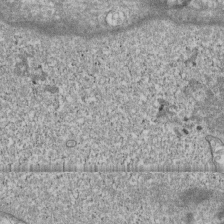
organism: Human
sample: Fibroblast cells